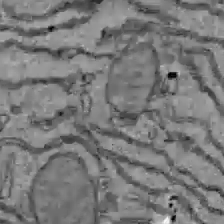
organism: C57BL Mouse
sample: Liver